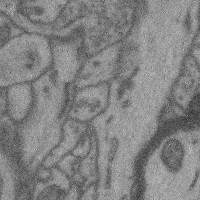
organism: Mouse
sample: Cerebral cortex